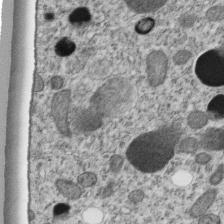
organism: C. elegans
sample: C. elegans embryo early stage